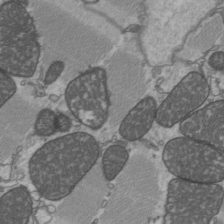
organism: C57BL Mouse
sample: Heart